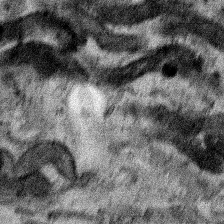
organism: Human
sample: Mitochondria in HCT116 cells